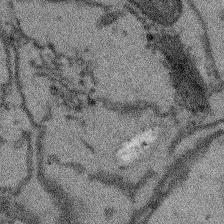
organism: Arabidopsis thaliana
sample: Root tip